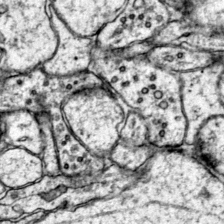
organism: Mouse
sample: Primary visual cortex